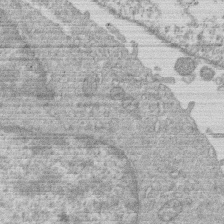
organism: Human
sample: Macrophage cells